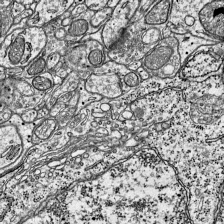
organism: Mouse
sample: Visual Cortex